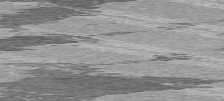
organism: C57BL Mouse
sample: Heart